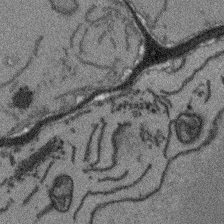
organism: Arabidopsis thaliana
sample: Root tip